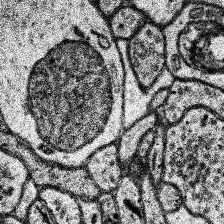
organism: Human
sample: Temporal Lobe